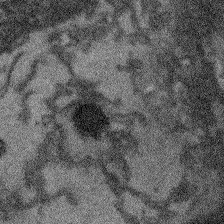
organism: Arabidopsis thaliana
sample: Root tip